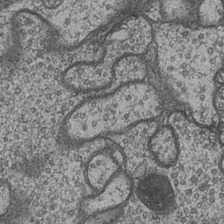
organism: Drosophila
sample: Optic medulla